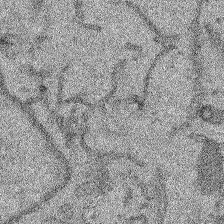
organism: Human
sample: HeLa cells